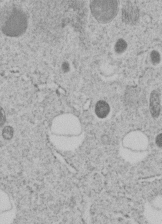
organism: C. elegans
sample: C. elegans embryo early stage